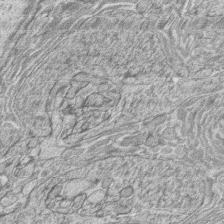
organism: Zebrafish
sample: synaptic ribbons in rod cells and cone cells